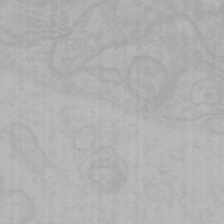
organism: Mouse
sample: Choroid plexus